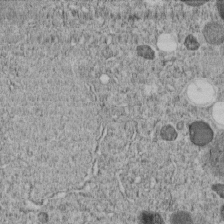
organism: C. elegans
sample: C. elegans embryo early stage